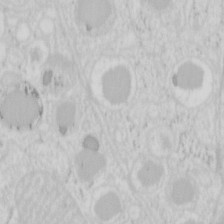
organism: Mouse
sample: Pancreas